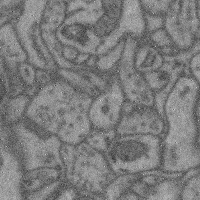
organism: Mouse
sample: Cerebral cortex